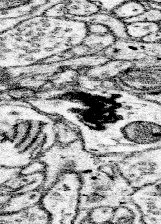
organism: Mouse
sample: Somatosensory cortex neuropil